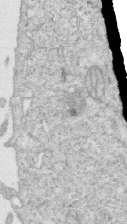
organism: Human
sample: HeLa cell HIV synapse